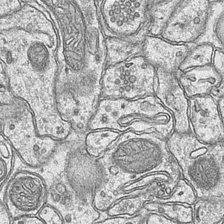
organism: Mouse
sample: CA1 Hippocampus